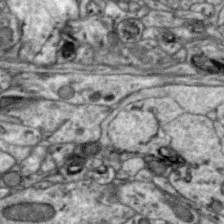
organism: Zebra finch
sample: Brain